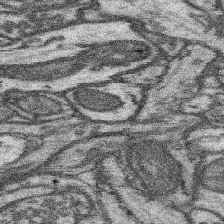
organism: Mouse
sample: Somatosensory cortex neuropil